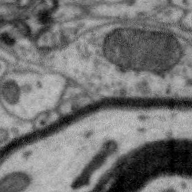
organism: Zebra finch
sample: Brain